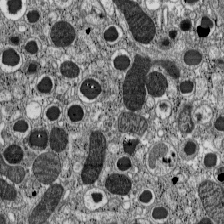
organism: C57BL Mouse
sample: Pancreatic islet